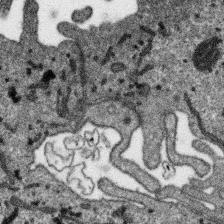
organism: Human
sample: Lung epithelial cells infected with SARS-CoV-2